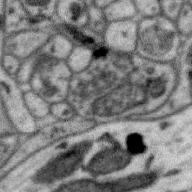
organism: Zebra finch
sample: Brain